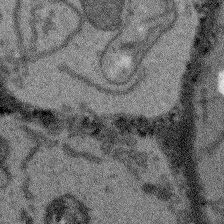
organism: Arabidopsis thaliana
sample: Root tip